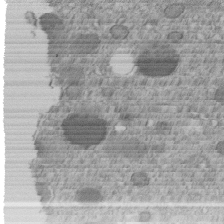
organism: C. elegans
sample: C. elegans embryo early stage